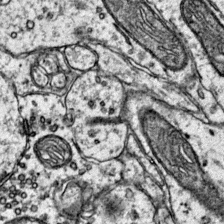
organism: Mouse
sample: Primary visual cortex